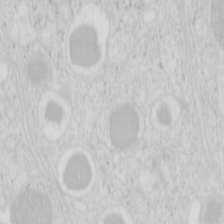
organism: Mouse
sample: Pancreas